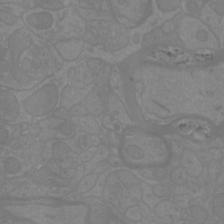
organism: Mouse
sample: Cortical neurons